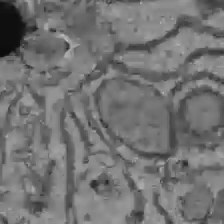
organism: C57BL Mouse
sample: Liver